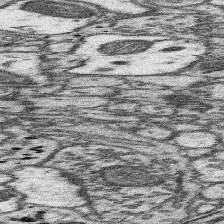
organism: Mouse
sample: Somatosensory cortex neuropil